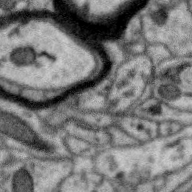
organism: Zebra finch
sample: Brain